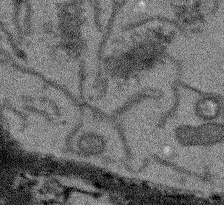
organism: Arabidopsis thaliana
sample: Root tip